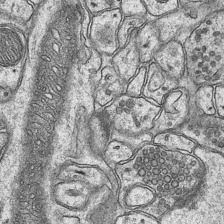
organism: Mouse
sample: CA1 Hippocampus